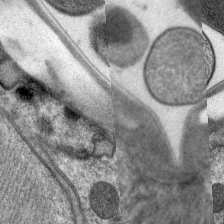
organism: C. elegans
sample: Pharynx